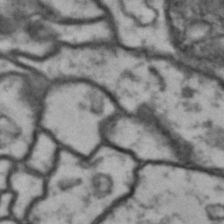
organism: Drosophila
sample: Brain